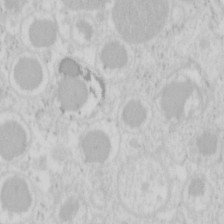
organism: Mouse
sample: Pancreas